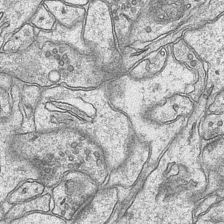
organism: Mouse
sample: CA1 Hippocampus